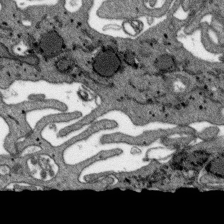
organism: Human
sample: Lung epithelial cells, uninfected (mock) control